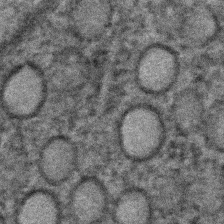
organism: C. elegans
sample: C. elegans embryo